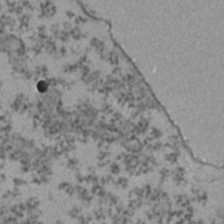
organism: Zebrafish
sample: Zebrafish embryo